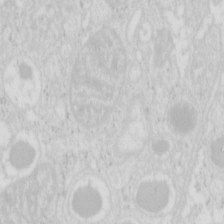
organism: Mouse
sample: Pancreas